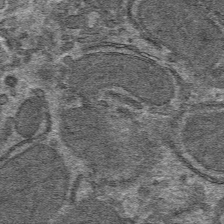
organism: Mouse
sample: Mouse hepatocytes